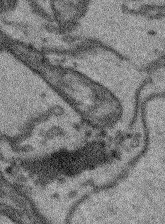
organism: Arabidopsis thaliana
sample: Root tip